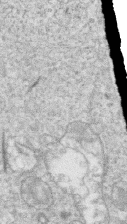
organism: Human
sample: HeLa cell HIV synapse